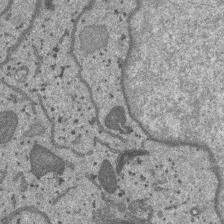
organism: Human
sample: Lung epithelial cells infected with SARS-CoV-2